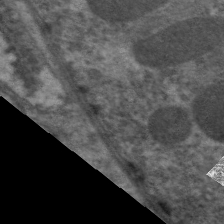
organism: C. elegans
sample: Pharynx